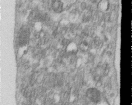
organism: Human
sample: Centriole in RPE cells